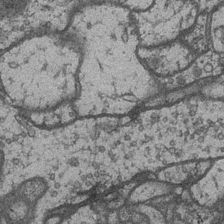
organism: Drosophila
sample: Optic medulla